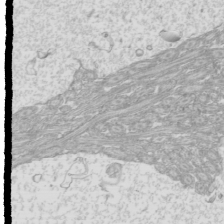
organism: Mouse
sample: Cilia; mouse epididymis